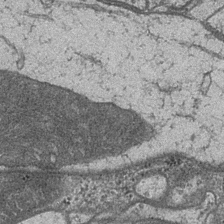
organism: Drosophila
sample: Optic medulla